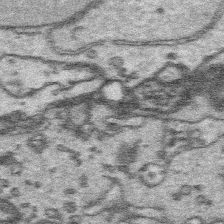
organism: Platynereis dumerilii